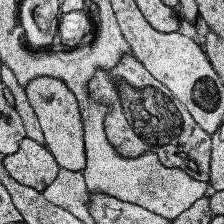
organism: Human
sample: Temporal Lobe